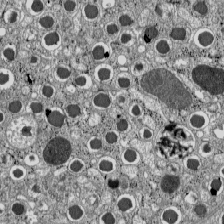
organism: C57BL Mouse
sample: Pancreatic islet